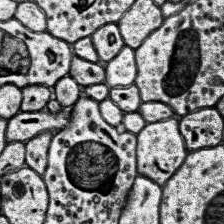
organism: Human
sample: Temporal Lobe